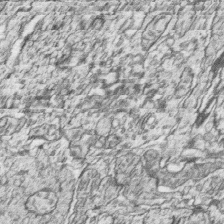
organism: Zebrafish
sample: synaptic ribbons in rod cells and cone cells